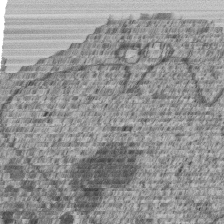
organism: Human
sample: MDA-MB-231 cells